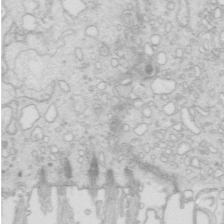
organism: Mouse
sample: Multiciliated cells